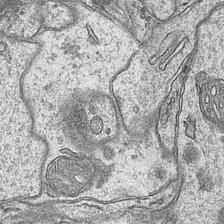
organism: Mouse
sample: CA1 Hippocampus